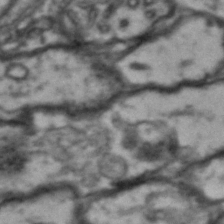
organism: Drosophila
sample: Brain